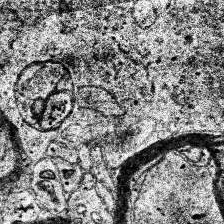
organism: Human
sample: Temporal Lobe